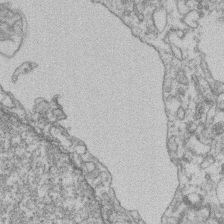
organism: Mouse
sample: T cell stromal cell synapse